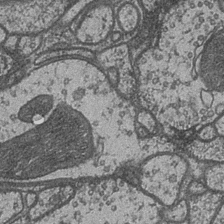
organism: Drosophila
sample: Optic medulla